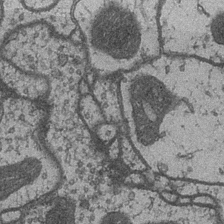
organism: Drosophila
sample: Optic medulla